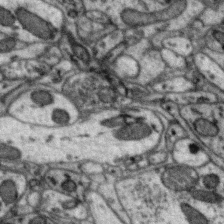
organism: Zebra finch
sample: Brain